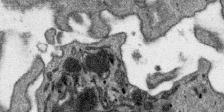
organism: Human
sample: Lung epithelial cells, uninfected (mock) control